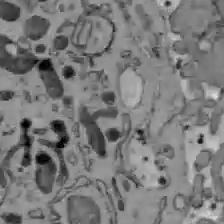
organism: C57BL Mouse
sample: Liver